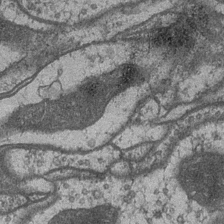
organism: Drosophila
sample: Optic medulla